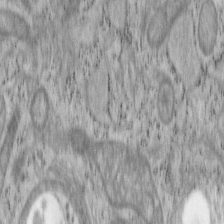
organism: Human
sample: HeLa cells